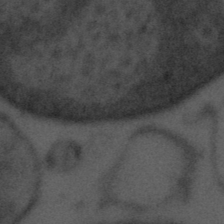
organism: Tuwongella immobilis